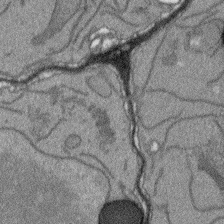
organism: Arabidopsis thaliana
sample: Root tip